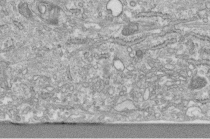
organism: Human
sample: Centriole in fibroblast cells